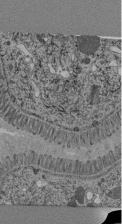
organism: C. elegans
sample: C. elegans pharynx